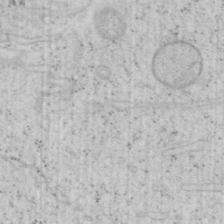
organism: Human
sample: HeLa cells